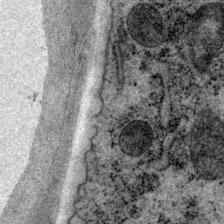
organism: P. pacificus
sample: Pharynx